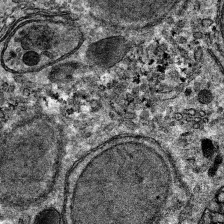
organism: Mouse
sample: Mouse hepatocytes